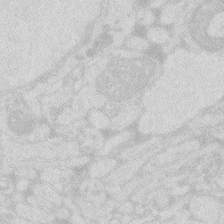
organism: Zebrafish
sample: Macrophage